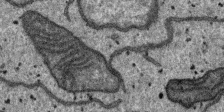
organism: Human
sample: Lung epithelial cells, uninfected (mock) control